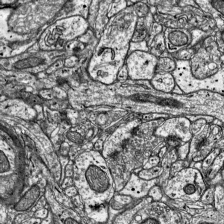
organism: Mouse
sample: Visual Cortex